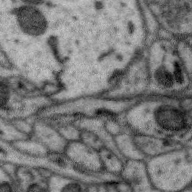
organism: Zebra finch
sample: Brain